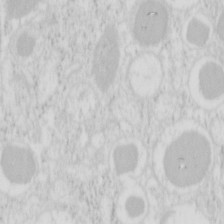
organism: Mouse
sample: Pancreas